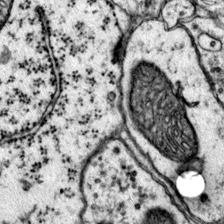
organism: Mouse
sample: Primary visual cortex